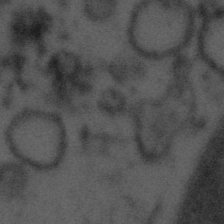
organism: Tuwongella immobilis